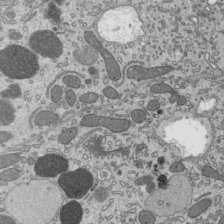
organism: Mouse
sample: Mouse epididymis efferent ductule cilia